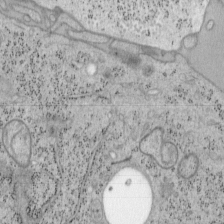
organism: Mouse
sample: OT-I killer T cells with ID8 ovarian cancer cells